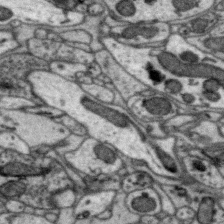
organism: Zebra finch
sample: Brain